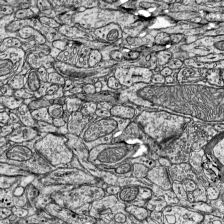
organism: Mouse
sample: Visual Cortex